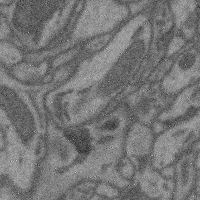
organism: Mouse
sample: Cerebral cortex